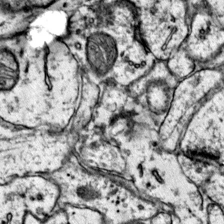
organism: Mouse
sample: Primary visual cortex